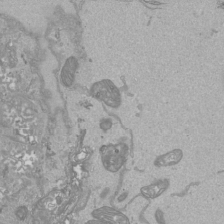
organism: Human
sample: Mitochondria in HCT116 cells